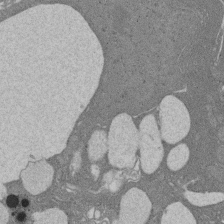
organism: Rat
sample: Salivary granule